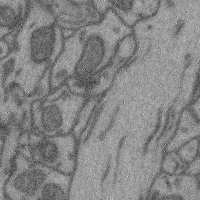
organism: Mouse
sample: Cerebral cortex